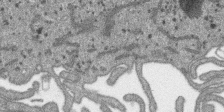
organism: Human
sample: Lung epithelial cells infected with SARS-CoV-2